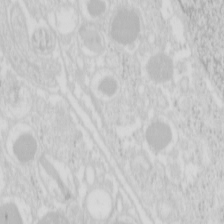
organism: Mouse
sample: Pancreas